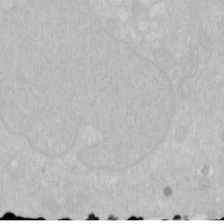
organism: Human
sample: HIV infected U937 cells